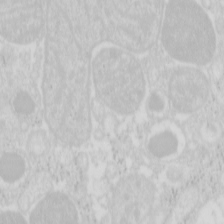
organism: Mouse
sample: Pancreas